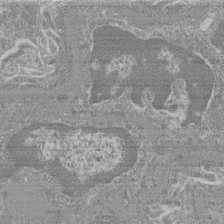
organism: Mouse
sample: Glomerulus